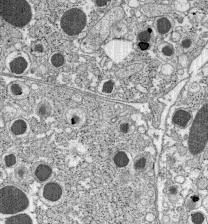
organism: C57BL Mouse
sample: Pancreatic islet